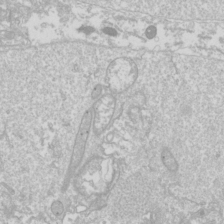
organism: Drosophila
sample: Cell division; meiosis; drosophila spermatocytes